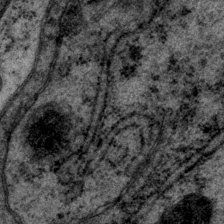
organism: P. pacificus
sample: Pharynx